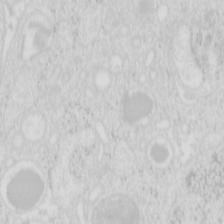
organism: Mouse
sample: Pancreas